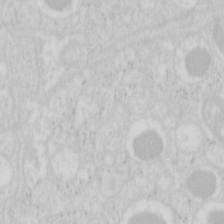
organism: Mouse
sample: Pancreas